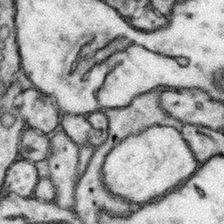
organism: Mouse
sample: Somatosensory cortex neuropil